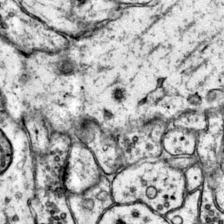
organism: Mouse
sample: Primary visual cortex